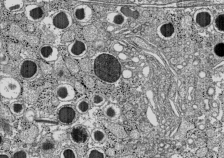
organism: C57BL Mouse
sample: Pancreatic islet